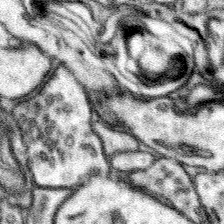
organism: Mouse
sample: Somatosensory cortex neuropil